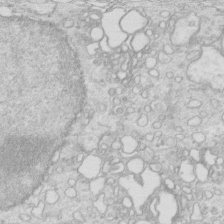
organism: Mouse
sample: Multiciliated cells